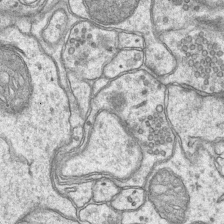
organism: Mouse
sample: CA1 Hippocampus